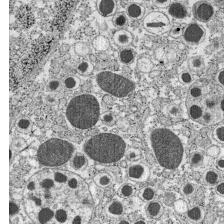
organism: C57BL Mouse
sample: Pancreatic islet